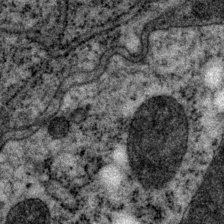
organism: P. pacificus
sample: Pharynx